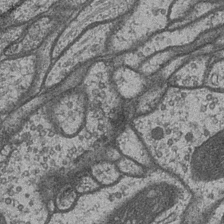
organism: Drosophila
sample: Optic medulla